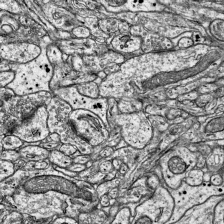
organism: Mouse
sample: Visual Cortex